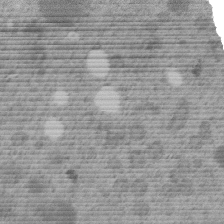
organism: C. elegans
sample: C. elegans embryo early stage